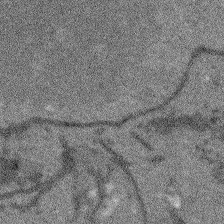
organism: Arabidopsis thaliana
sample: Root tip